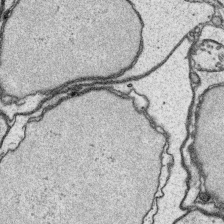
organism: Platynereis dumerilii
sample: Parapodia